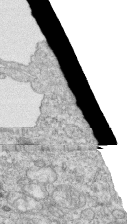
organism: Human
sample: HeLa cell HIV synapse